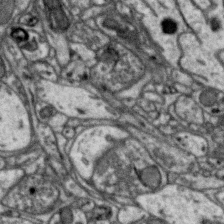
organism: Zebra finch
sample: Brain